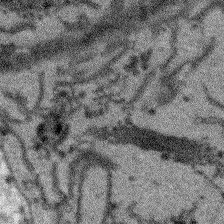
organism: Arabidopsis thaliana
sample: Root tip